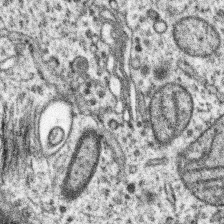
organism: Human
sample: HeLa cells